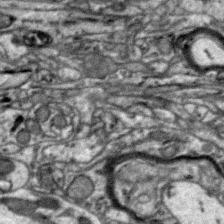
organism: Zebra finch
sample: Brain